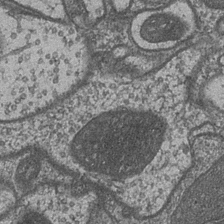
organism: Drosophila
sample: Optic medulla